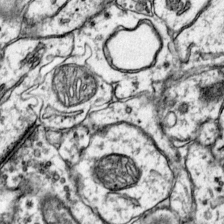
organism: Mouse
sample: Primary visual cortex